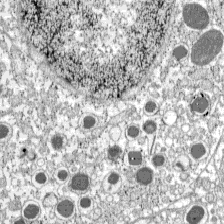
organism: C57BL Mouse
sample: Pancreatic islet